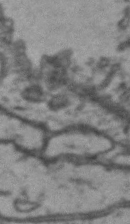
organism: Drosophila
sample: Brain